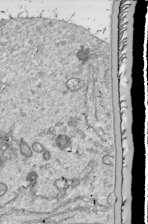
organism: Drosophila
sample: Cell division; meiosis; drosophila spermatocytes